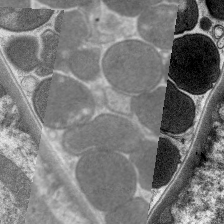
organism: C. elegans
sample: Pharynx